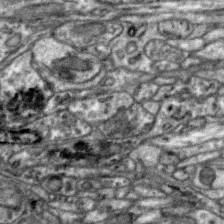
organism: Zebra finch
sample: Brain